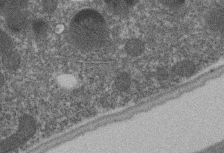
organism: C. elegans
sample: C. elegans embryo early stage